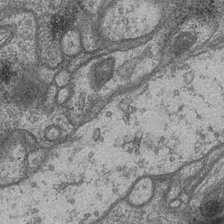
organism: Drosophila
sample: Optic medulla